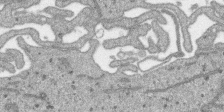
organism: Human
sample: Lung epithelial cells infected with SARS-CoV-2